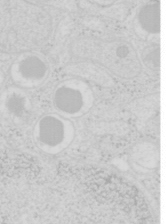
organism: Mouse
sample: Pancreas